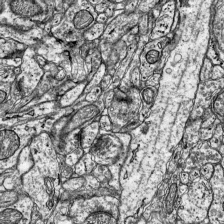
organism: Mouse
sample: Visual Cortex